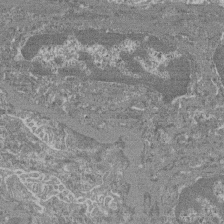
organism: Mouse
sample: Glomerulus